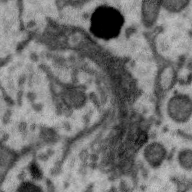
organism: Zebra finch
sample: Brain